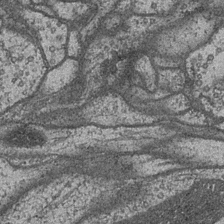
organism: Drosophila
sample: Optic medulla